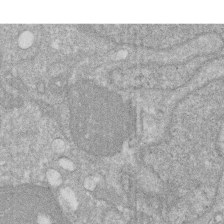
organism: Human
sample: HIV infected U937 cells